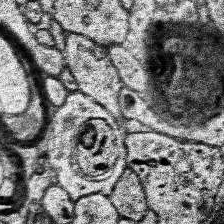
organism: Human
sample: Temporal Lobe